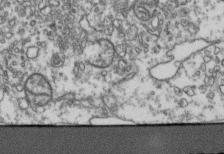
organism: Human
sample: Activated Jurkat CD4+ T cells